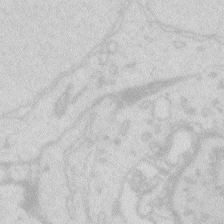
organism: Zebrafish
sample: Macrophage